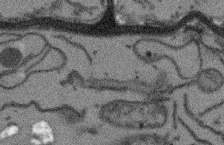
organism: Arabidopsis thaliana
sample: Root tip